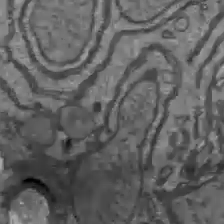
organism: C57BL Mouse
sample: Liver